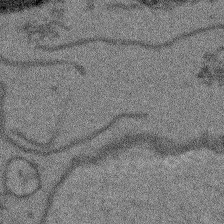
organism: Arabidopsis thaliana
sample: Root tip